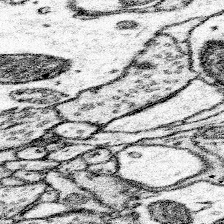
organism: Mouse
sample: Somatosensory cortex neuropil